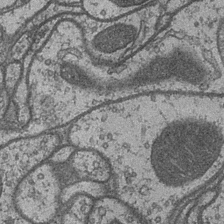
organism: Drosophila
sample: Optic medulla